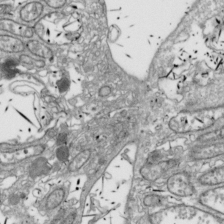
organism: Drosophila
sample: Cell division; meiosis; drosophila spermatocytes